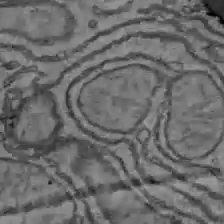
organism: C57BL Mouse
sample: Liver